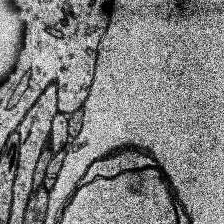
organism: Human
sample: Temporal Lobe